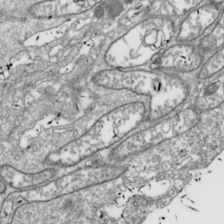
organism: Drosophila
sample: Cell division; meiosis; drosophila spermatocytes